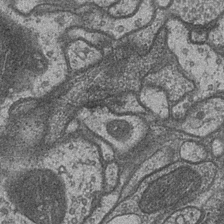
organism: Drosophila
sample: Optic medulla